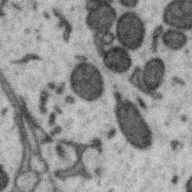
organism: Zebra finch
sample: Brain